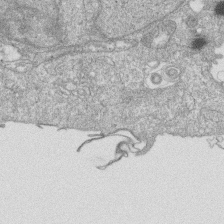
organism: Human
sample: HeLa cell HIV synapse